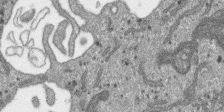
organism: Human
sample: Lung epithelial cells infected with SARS-CoV-2